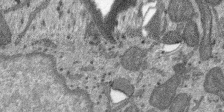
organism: Human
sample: Lung epithelial cells infected with SARS-CoV-2